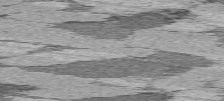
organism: C57BL Mouse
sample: Heart